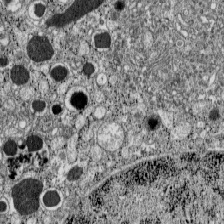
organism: C57BL Mouse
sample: Pancreatic islet